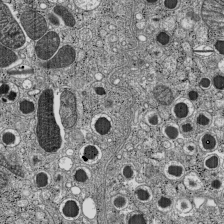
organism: C57BL Mouse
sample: Pancreatic islet